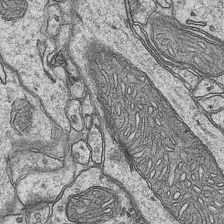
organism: Mouse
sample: CA1 Hippocampus